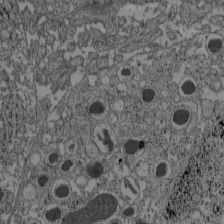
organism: C57BL Mouse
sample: Pancreatic islet